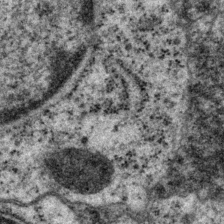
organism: P. pacificus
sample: Pharynx